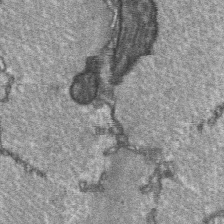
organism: C57BL Mouse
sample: Soleus